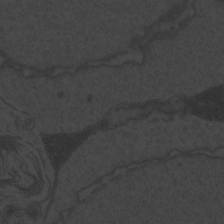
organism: Zebrafish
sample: Macrophage infected with Toxoplasma gondii